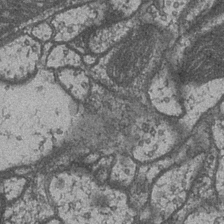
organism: Drosophila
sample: Optic medulla